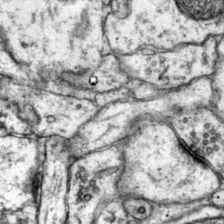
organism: Mouse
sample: Primary visual cortex